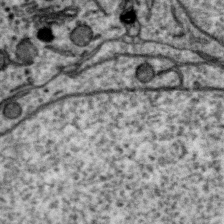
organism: Zebra finch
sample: Brain